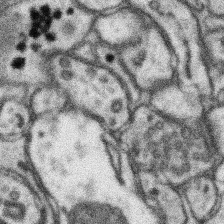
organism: Mouse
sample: Somatosensory cortex neuropil